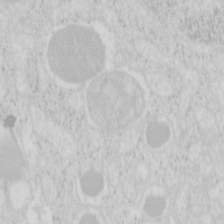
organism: Mouse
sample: Pancreas